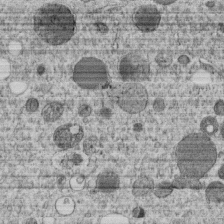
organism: C. elegans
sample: C. elegans embryo early stage